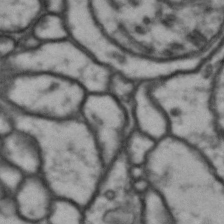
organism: Drosophila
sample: Brain